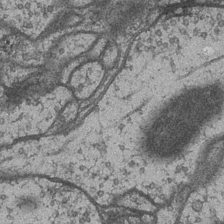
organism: Drosophila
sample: Optic medulla